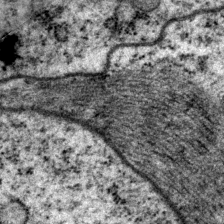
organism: P. pacificus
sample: Pharynx